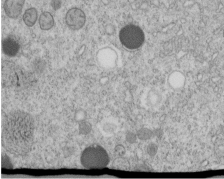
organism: C. elegans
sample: C. elegans embryo early stage